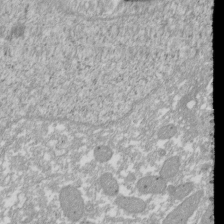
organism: Xenopus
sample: Cilia; centrioles in frog embryo cells